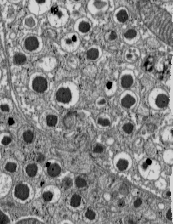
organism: C57BL Mouse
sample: Pancreatic islet